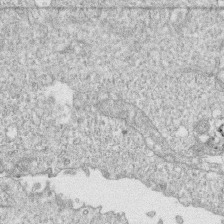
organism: Human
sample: HeLa cell HIV synapse